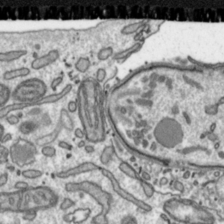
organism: Toxoplasma gondii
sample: Parasites in a vacuole inside a host cell